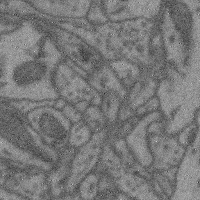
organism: Mouse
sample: Cerebral cortex